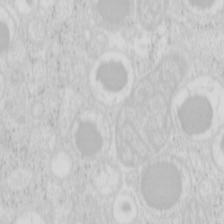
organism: Mouse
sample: Pancreas